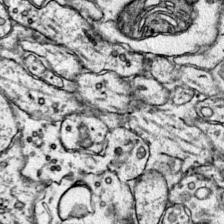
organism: Mouse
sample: Primary visual cortex